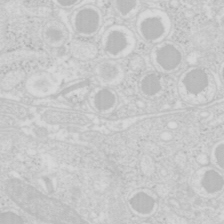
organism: Mouse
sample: Pancreas